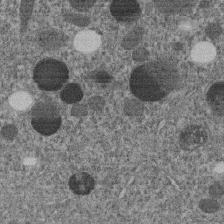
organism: C. elegans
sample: C. elegans embryo early stage